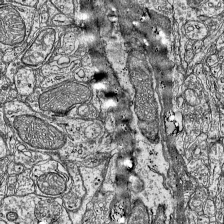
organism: Mouse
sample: Visual Cortex